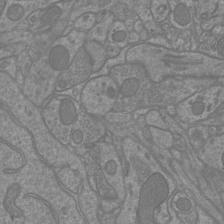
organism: Mouse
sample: Cortical neurons